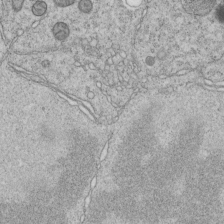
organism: C. elegans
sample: C. elegans embryo early stage